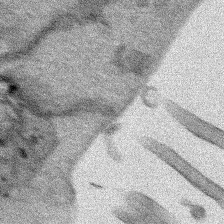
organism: Human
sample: Mitochondria in HCT116 cells